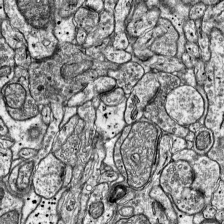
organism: Mouse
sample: Visual Cortex